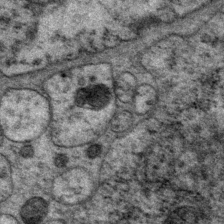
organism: P. pacificus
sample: Pharynx